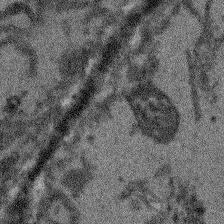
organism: Arabidopsis thaliana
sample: Root tip